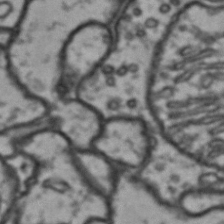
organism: Drosophila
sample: Brain